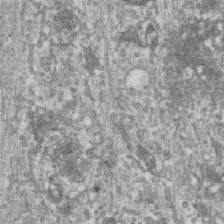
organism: Human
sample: Centriole in RPE cells